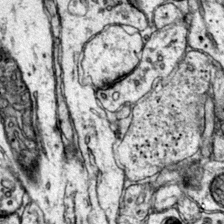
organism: Mouse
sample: Primary visual cortex